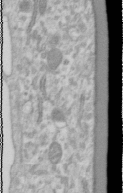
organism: Human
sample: Cilia; basal body in RPE cells